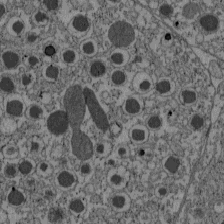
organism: C57BL Mouse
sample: Pancreatic islet